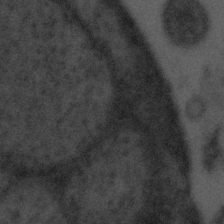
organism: Tuwongella immobilis